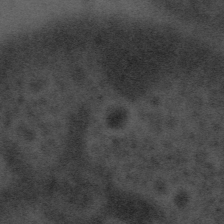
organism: Tuwongella immobilis